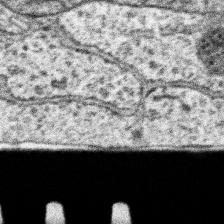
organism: Human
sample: HeLa cells